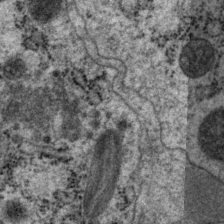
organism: P. pacificus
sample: Pharynx